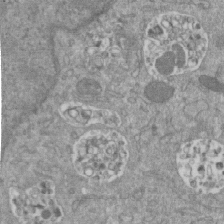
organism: Mouse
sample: ED-1 cell nuclei; centrioles